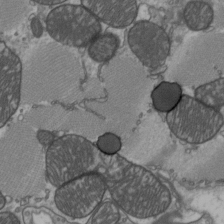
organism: C57BL Mouse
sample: Heart